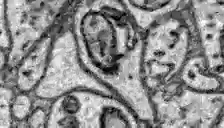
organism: Zebrafish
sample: Brain